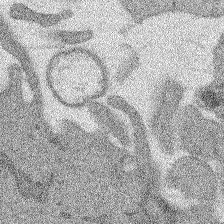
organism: Human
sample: HeLa cells